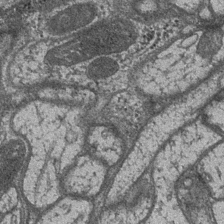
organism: Drosophila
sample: Optic medulla